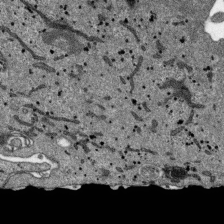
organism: Human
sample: Lung epithelial cells, uninfected (mock) control